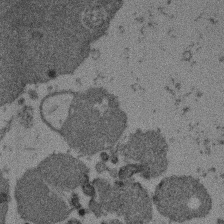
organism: Mouse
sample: Dividing mouse embryo 1 cell stage